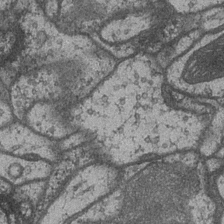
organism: Drosophila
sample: Optic medulla